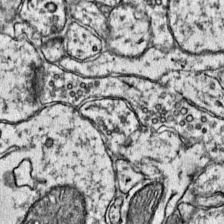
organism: Mouse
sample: Primary visual cortex